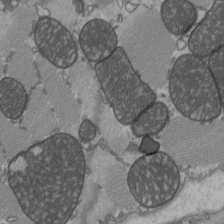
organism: C57BL Mouse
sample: Heart